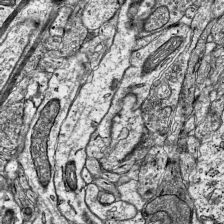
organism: Mouse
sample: Visual Cortex